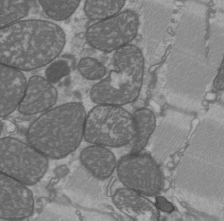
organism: C57BL Mouse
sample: Heart